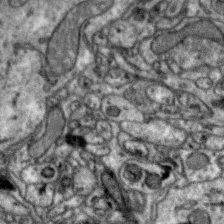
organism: Zebra finch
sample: Brain